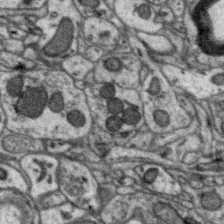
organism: Zebra finch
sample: Brain